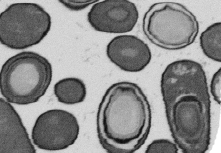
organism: B. subtilis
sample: Bacterial spore